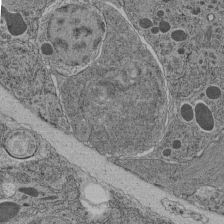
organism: C. elegans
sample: C. elegans pharynx